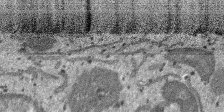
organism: Human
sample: Lung epithelial cells infected with SARS-CoV-2